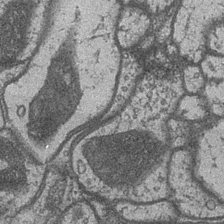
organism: Drosophila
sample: Optic medulla